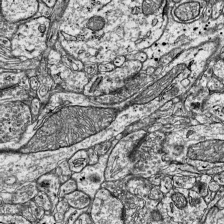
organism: Mouse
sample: Visual Cortex